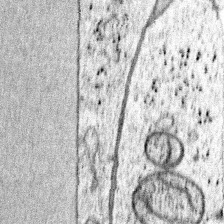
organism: Human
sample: HeLa cells